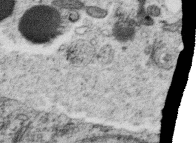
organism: C. elegans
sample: C. elegans oocyte; sperm cells